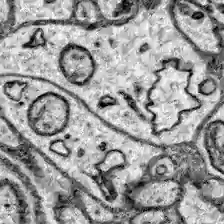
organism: Zebrafish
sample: Brain